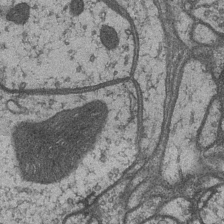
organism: Drosophila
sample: Optic medulla